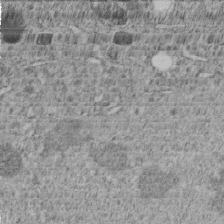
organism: C. elegans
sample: C. elegans embryo early stage